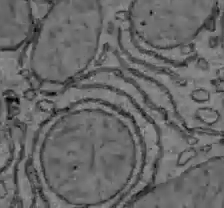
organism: C57BL Mouse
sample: Liver